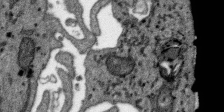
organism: Human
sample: Lung epithelial cells, uninfected (mock) control